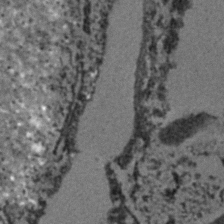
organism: C. elegans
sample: C. elegans embryo